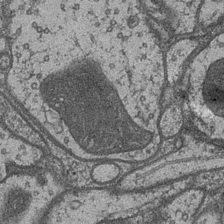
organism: Drosophila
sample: Optic medulla